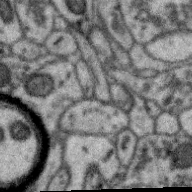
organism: Zebra finch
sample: Brain